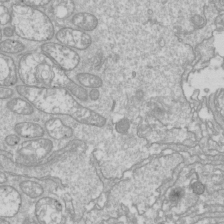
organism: Drosophila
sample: Cell division; meiosis; drosophila spermatocytes